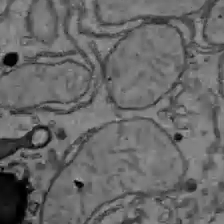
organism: C57BL Mouse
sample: Liver